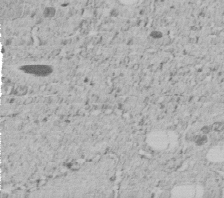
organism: C. elegans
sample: C. elegans embryo early stage